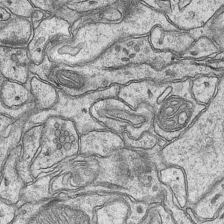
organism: Mouse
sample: CA1 Hippocampus